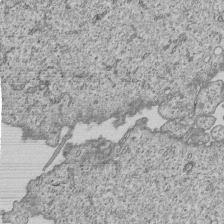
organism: Human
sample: MDA-MB-231 cells